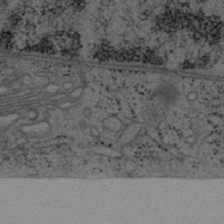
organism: Human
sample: HeLa cells